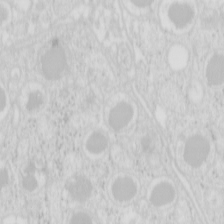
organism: Mouse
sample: Pancreas